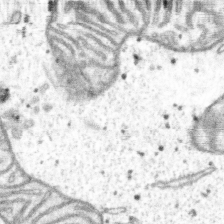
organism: Human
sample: HeLa cells